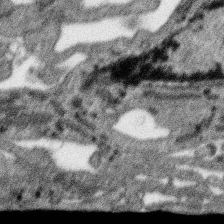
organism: Human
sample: Lung epithelial cells infected with SARS-CoV-2